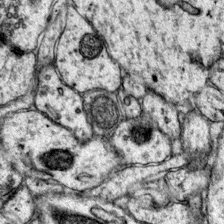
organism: Mouse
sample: Primary visual cortex